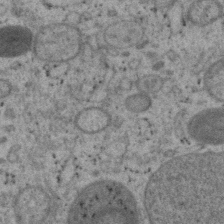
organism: Human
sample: HeLa cells